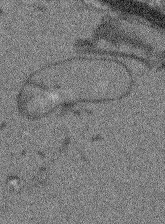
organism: Arabidopsis thaliana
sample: Root tip